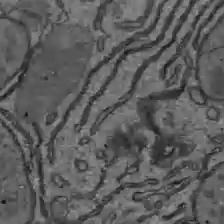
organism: C57BL Mouse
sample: Liver